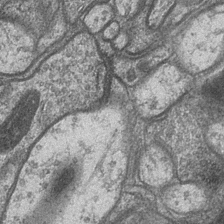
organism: Drosophila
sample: Optic medulla